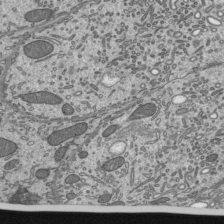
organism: Mouse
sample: Mouse epididymis efferent ductule cilia